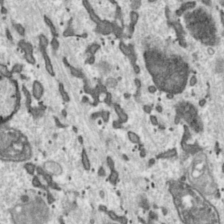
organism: Toxoplasma gondii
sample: Parasites in a vacuole inside a host cell